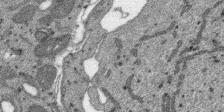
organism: Human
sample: Lung epithelial cells infected with SARS-CoV-2